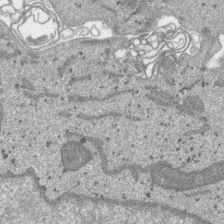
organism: Human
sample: Lung epithelial cells infected with SARS-CoV-2